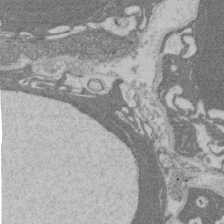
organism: Rat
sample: Salivary granule